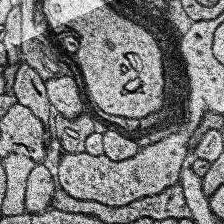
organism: Human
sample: Temporal Lobe